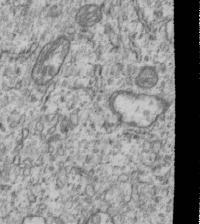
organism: Human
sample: MDA-MB-231 cells